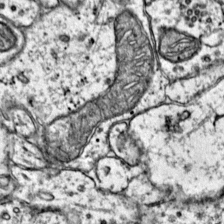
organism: Mouse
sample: Primary visual cortex